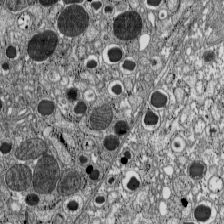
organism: C57BL Mouse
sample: Pancreatic islet